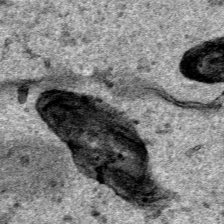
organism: Human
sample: Mitochondria in HCT116 cells